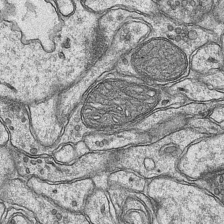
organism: Mouse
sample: CA1 Hippocampus